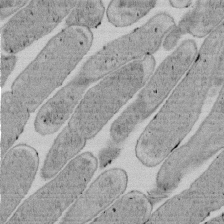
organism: E. coli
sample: Bacterial nucleoid